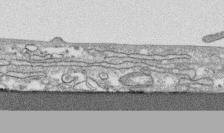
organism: Human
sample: CRL-1474